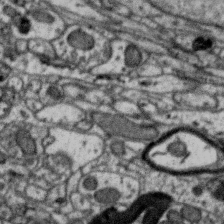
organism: Zebra finch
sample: Brain